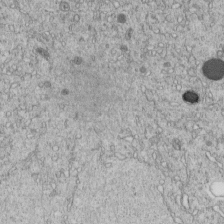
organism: C. elegans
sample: C. elegans embryo early stage